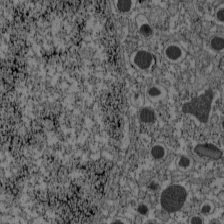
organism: C57BL Mouse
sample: Pancreatic islet